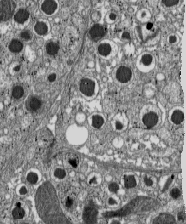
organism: C57BL Mouse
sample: Pancreatic islet